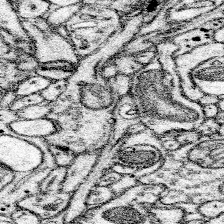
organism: Mouse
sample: Somatosensory cortex neuropil